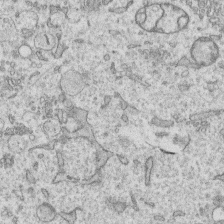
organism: Human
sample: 1205lu cells